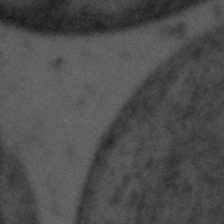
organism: Tuwongella immobilis